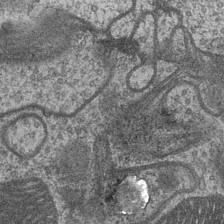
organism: Drosophila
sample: Optic medulla